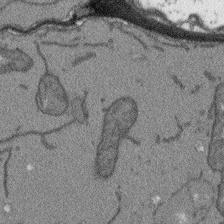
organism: Arabidopsis thaliana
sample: Root tip